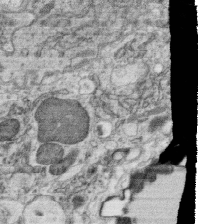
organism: C. elegans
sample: C. elegans oocyte; sperm cells